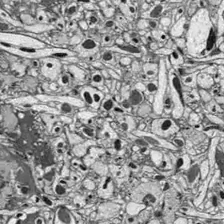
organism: Drosophila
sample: Optic lobe